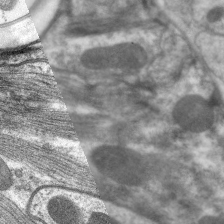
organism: C. elegans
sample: Pharynx